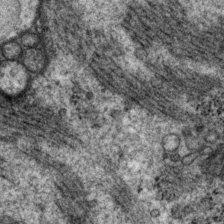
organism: P. pacificus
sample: Pharynx